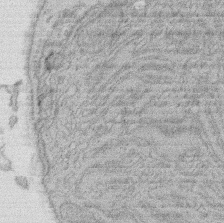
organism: Rat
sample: Salivary granule